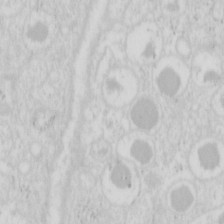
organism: Mouse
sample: Pancreas